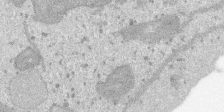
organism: Human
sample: Lung epithelial cells infected with SARS-CoV-2